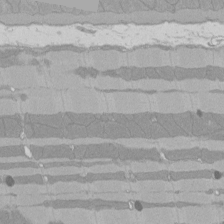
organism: Rat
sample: Left ventricle